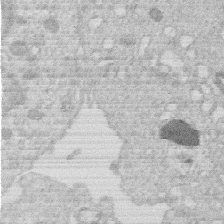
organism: Human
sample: Macrophage cells